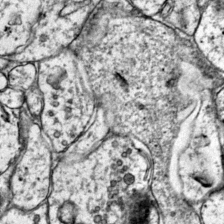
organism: Mouse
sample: Primary visual cortex